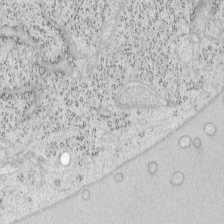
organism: Mouse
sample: OT-I killer T cells with ID8 ovarian cancer cells